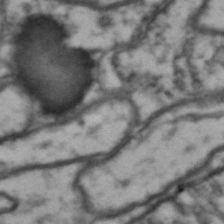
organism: Drosophila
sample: Brain